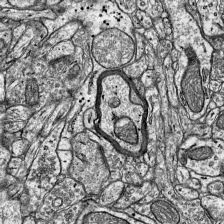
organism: Mouse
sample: Visual Cortex